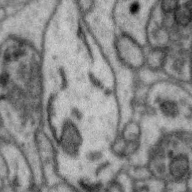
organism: Zebra finch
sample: Brain